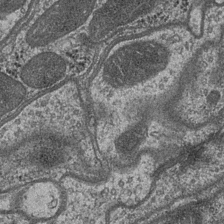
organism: Drosophila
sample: Optic medulla